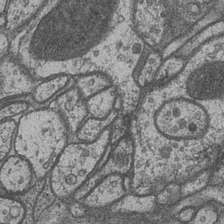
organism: Drosophila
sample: Optic medulla